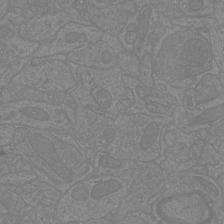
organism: Mouse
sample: Cortical neurons